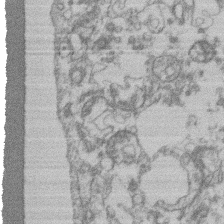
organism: Mouse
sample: T cell stromal cell synapse